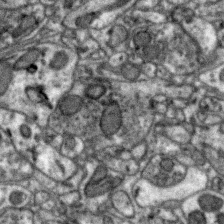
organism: Zebra finch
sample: Brain